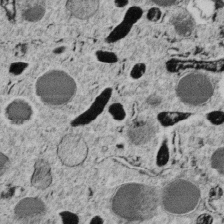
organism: C. elegans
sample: C. elegans embryo early stage